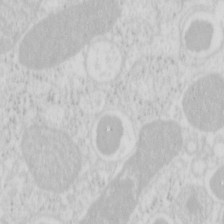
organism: Mouse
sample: Pancreas